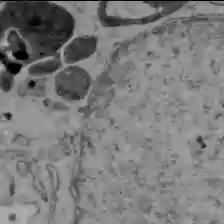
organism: C57BL Mouse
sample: Liver